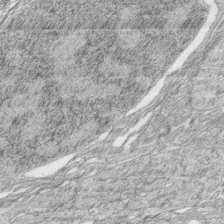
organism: Zebrafish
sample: synaptic ribbons in rod cells and cone cells